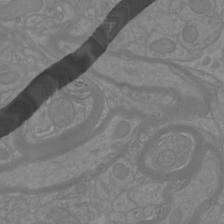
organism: Mouse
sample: Cortical neurons